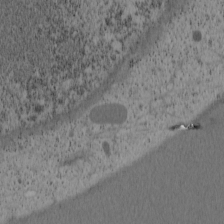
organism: African green monkey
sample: COS-7 cells